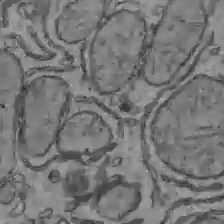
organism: C57BL Mouse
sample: Liver